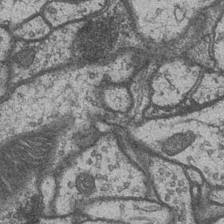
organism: Drosophila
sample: Optic medulla